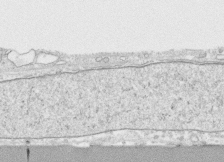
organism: Human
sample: CRL-1474